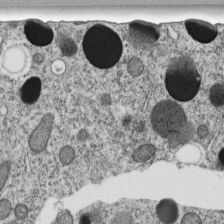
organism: C. elegans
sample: C. elegans embryo early stage